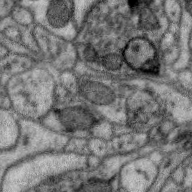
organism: Zebra finch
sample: Brain